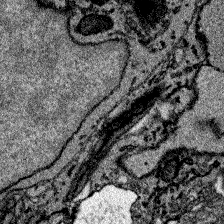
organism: Zebrafish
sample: Larval olfactory bulb